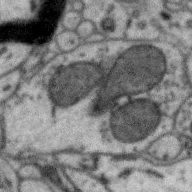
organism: Zebra finch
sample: Brain